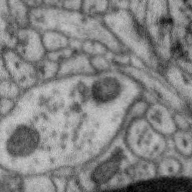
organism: Zebra finch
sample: Brain